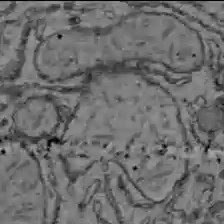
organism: C57BL Mouse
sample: Liver